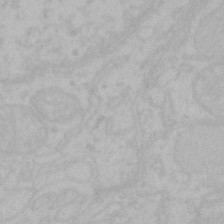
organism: Mouse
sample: Choroid plexus